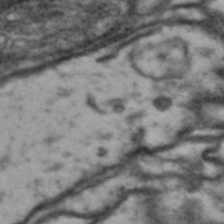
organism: Drosophila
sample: Brain